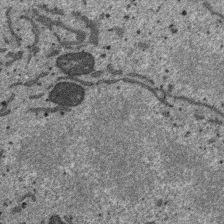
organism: Human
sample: Lung epithelial cells infected with SARS-CoV-2